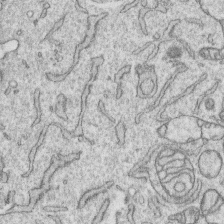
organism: Human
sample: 1205lu cells